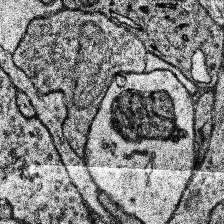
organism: Human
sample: Temporal Lobe